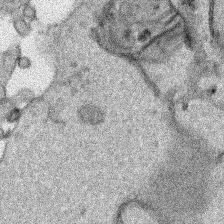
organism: Human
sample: Mitochondria in HCT116 cells